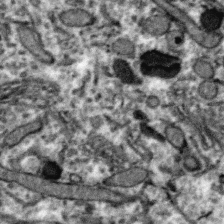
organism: Zebra finch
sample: Brain